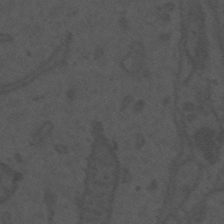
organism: Mouse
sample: Suprachiasmatic nucleus